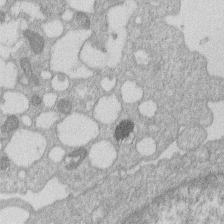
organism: Human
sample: Macrophage cells